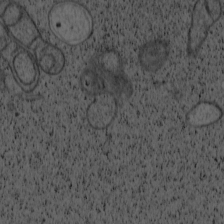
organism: African green monkey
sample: COS-7 cells